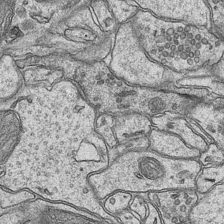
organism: Mouse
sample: CA1 Hippocampus